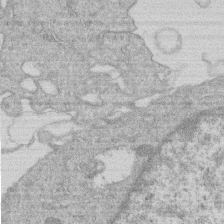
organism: Human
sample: Macrophage cells